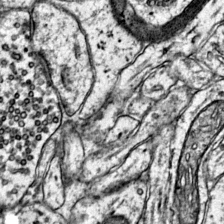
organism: Mouse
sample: Primary visual cortex